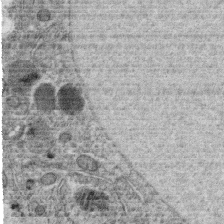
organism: C. elegans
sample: C. elegans oocyte; sperm cells